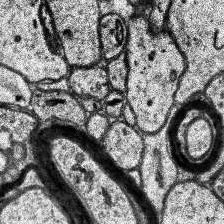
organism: Human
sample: Temporal Lobe